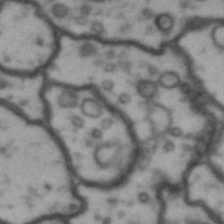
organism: Drosophila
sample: Brain